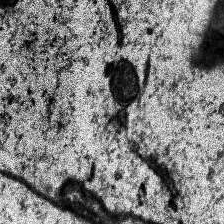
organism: Human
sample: Temporal Lobe